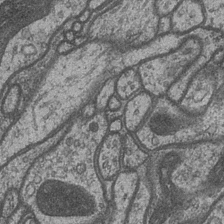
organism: Drosophila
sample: Optic medulla